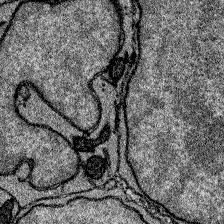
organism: Zebrafish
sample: Larval olfactory bulb